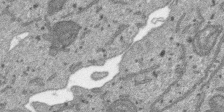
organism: Human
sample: Lung epithelial cells infected with SARS-CoV-2